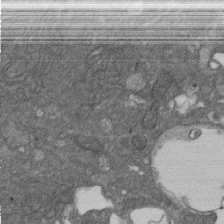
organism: Drosophila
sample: Nephrocyte